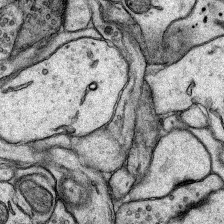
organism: Rat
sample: Hippocampus